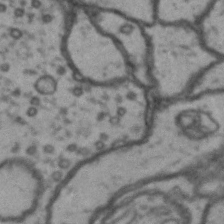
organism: Drosophila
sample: Brain